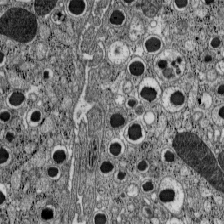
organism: C57BL Mouse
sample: Pancreatic islet